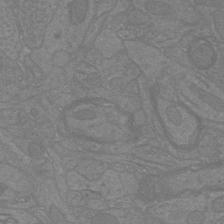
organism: Mouse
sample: Cortical neurons